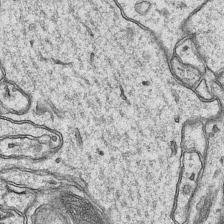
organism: Mouse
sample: CA1 Hippocampus